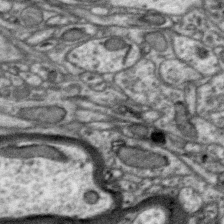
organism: Zebra finch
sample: Brain